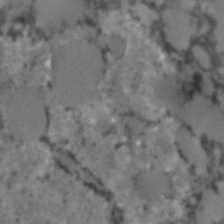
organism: C. elegans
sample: C. elegans embryo